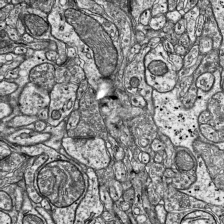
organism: Mouse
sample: Visual Cortex